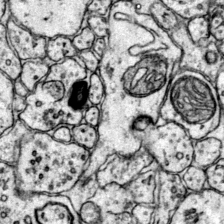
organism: Mouse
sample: Primary visual cortex